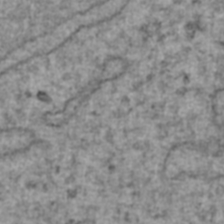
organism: Human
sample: Blood